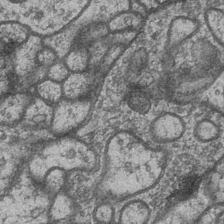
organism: Drosophila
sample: Optic medulla